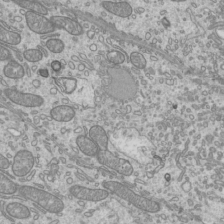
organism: Mouse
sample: Cilia; mouse epididymis